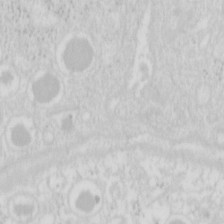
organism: Mouse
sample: Pancreas